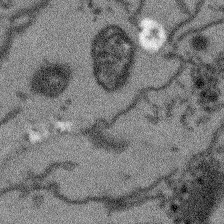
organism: Arabidopsis thaliana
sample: Root tip